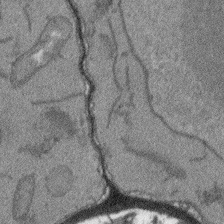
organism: Arabidopsis thaliana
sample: Root tip